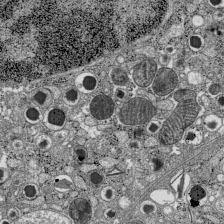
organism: C57BL Mouse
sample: Pancreatic islet